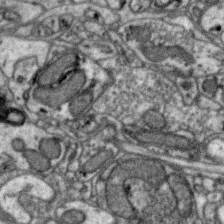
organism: Zebra finch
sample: Brain